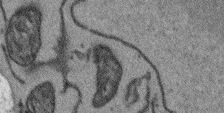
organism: Arabidopsis thaliana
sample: Root tip